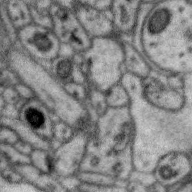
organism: Zebra finch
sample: Brain